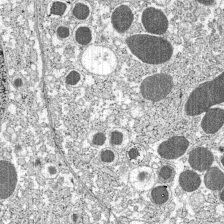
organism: C57BL Mouse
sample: Pancreatic islet